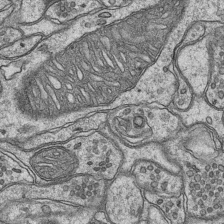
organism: Mouse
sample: CA1 Hippocampus